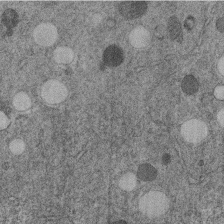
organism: C. elegans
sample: C. elegans embryo early stage